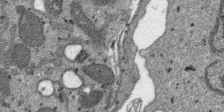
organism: Human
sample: Lung epithelial cells infected with SARS-CoV-2